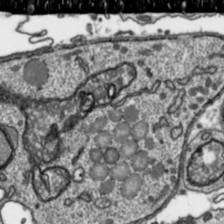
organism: Toxoplasma gondii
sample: Parasites in a vacuole inside a host cell